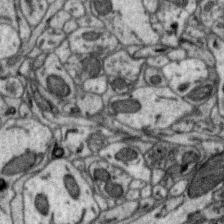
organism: Zebra finch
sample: Brain